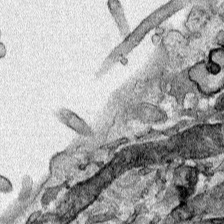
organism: Human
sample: Mitochondria in HCT116 cells